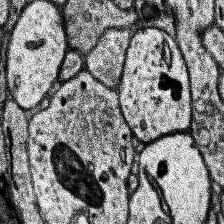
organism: Human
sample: Temporal Lobe